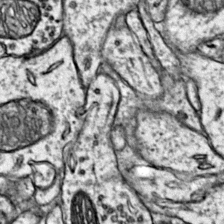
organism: Mouse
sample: Primary visual cortex